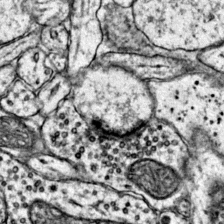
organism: Mouse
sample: Primary visual cortex